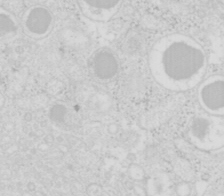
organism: Mouse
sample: Pancreas